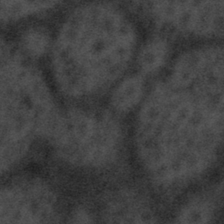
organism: Tuwongella immobilis